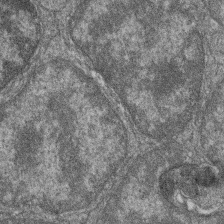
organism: Zebrafish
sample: Cilia; retinal pigment epithelium